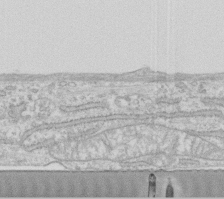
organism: Human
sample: Fibroblast cells